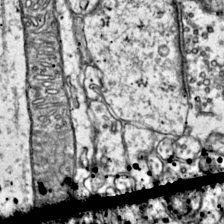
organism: Mouse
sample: Primary visual cortex